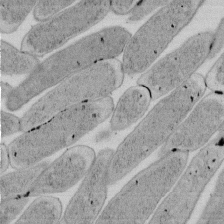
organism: E. coli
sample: Bacterial nucleoid